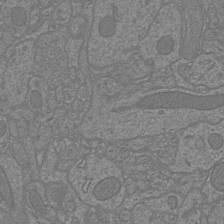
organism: Mouse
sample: Cortical neurons